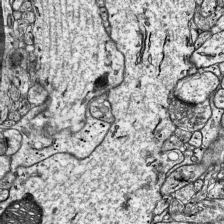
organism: Mouse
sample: Visual Cortex